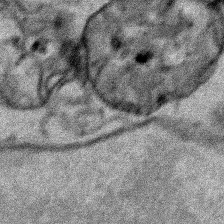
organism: Human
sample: Mitochondria in HCT116 cells